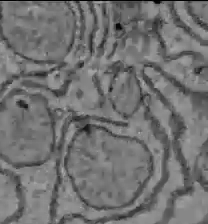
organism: C57BL Mouse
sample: Liver